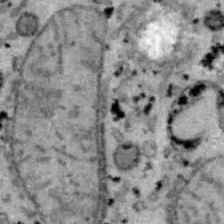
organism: Mouse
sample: Liver from an obese (ob/ob) mouse